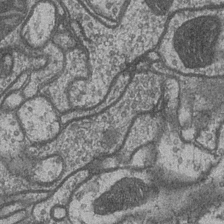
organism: Drosophila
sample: Optic medulla